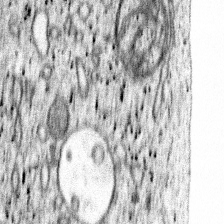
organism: Human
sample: HeLa cells